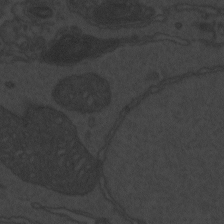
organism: Zebrafish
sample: Macrophage infected with Toxoplasma gondii